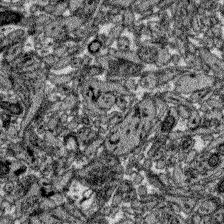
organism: Zebrafish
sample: Larval olfactory bulb